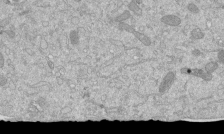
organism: Mouse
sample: ED-1 cell nuclei; centrioles